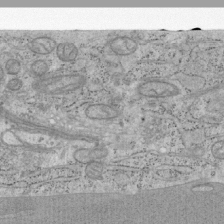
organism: Human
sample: HeLa cells